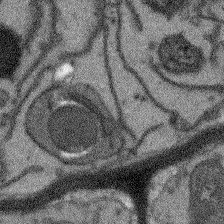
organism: Arabidopsis thaliana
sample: Root tip